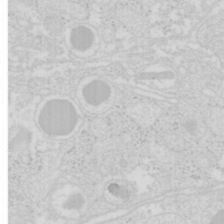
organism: Mouse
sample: Pancreas